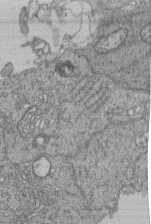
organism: Human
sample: Retinal organoid Rod and Cone cells